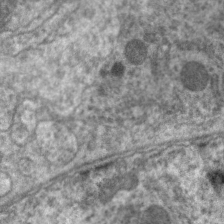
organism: C. elegans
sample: Pharynx